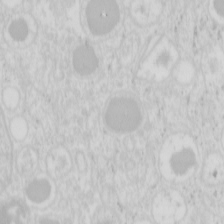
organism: Mouse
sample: Pancreas